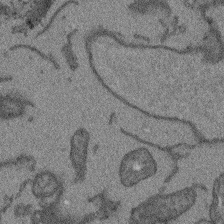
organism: Arabidopsis thaliana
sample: Root tip